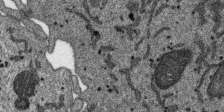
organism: Human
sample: Lung epithelial cells infected with SARS-CoV-2